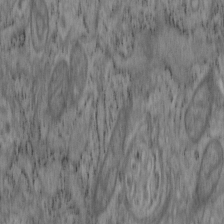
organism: Human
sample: HeLa cells